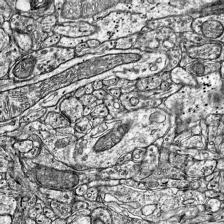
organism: Mouse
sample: Visual Cortex